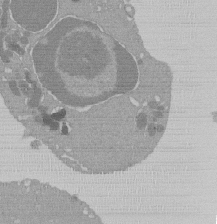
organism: Mouse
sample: Activated Pmel transgenic CD8+ T Cells